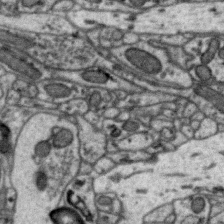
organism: Zebra finch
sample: Brain